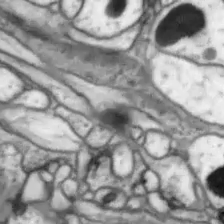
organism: Drosophila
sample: Optic lobe